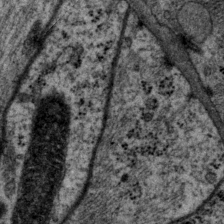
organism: P. pacificus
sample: Pharynx